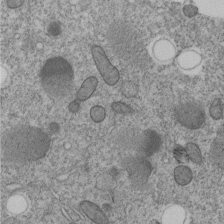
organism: C. elegans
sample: C. elegans embryo early stage